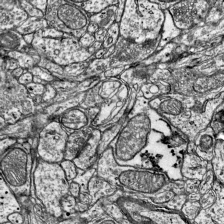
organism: Mouse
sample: Visual Cortex